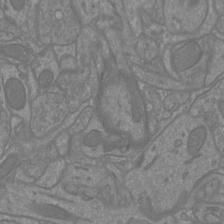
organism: Mouse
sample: Cortical neurons